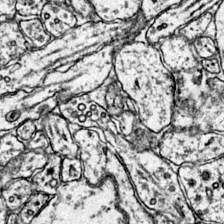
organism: Mouse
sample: Primary visual cortex